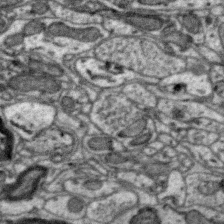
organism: Zebra finch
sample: Brain